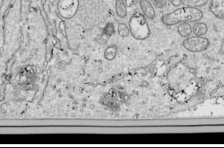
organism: Drosophila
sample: Cell division; meiosis; drosophila spermatocytes